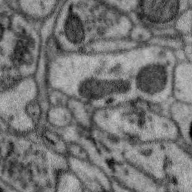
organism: Zebra finch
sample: Brain